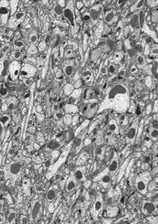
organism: Drosophila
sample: Optic lobe